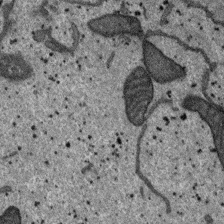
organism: Human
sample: Lung epithelial cells, uninfected (mock) control